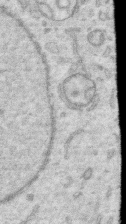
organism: Human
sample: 1205lu cells